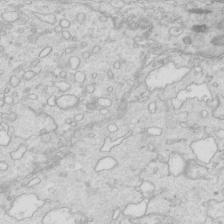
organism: Mouse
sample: Multiciliated cells